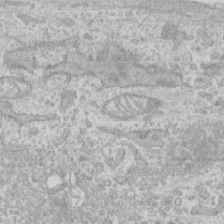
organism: Human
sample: CRL-1474